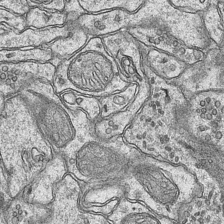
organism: Mouse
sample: CA1 Hippocampus